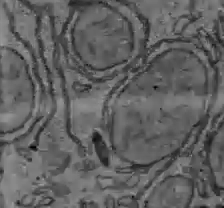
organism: C57BL Mouse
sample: Liver